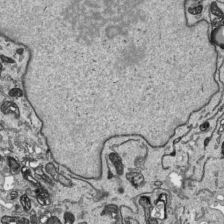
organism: Human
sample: Mitochondria in HCT116 cells